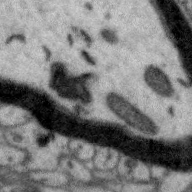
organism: Zebra finch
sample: Brain